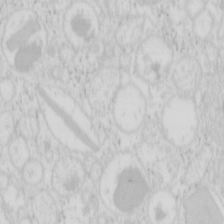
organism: Mouse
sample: Pancreas